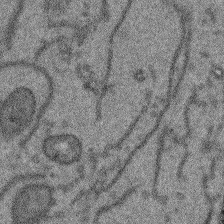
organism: Arabidopsis thaliana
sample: Root tip